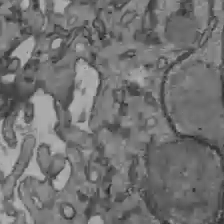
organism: C57BL Mouse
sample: Liver